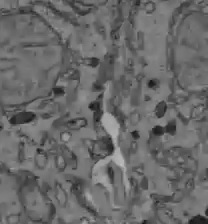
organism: C57BL Mouse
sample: Liver